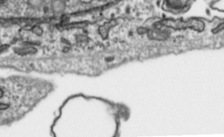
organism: Toxoplasma gondii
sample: Parasites in a vacuole inside a host cell